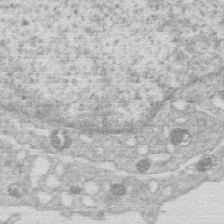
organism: Human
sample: Macrophage cells